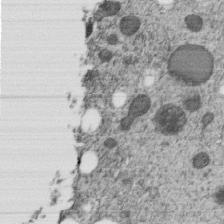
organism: C. elegans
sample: C. elegans embryo early stage